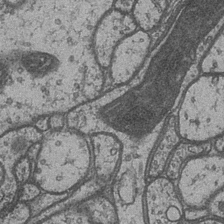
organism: Drosophila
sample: Optic medulla